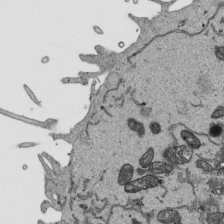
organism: Human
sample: Mitochondria in HCT116 cells